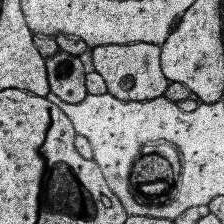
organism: Human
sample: Temporal Lobe